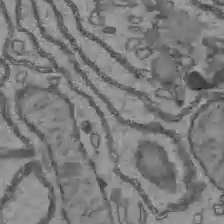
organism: C57BL Mouse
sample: Liver